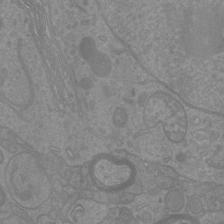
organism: Mouse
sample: Cortical neurons